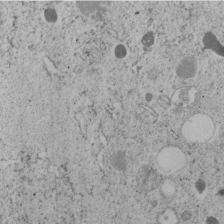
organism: C. elegans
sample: C. elegans embryo early stage